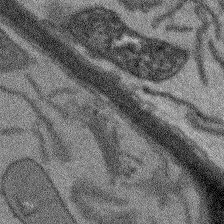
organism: Arabidopsis thaliana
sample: Root tip